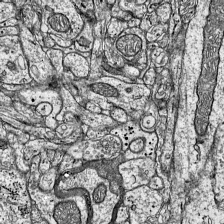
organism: Mouse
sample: Visual Cortex